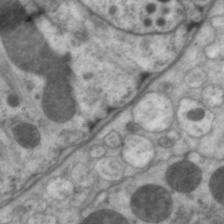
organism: C. elegans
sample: Pharynx